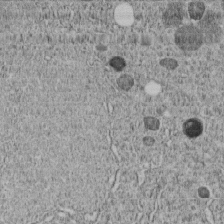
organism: C. elegans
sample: C. elegans embryo early stage